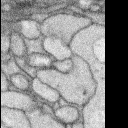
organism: Rabbit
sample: Retina